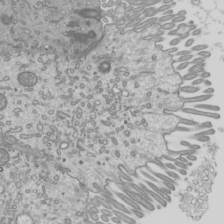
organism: Mouse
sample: Cilia; mouse epididymis